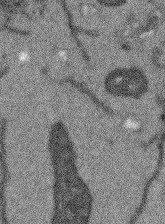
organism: Arabidopsis thaliana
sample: Root tip